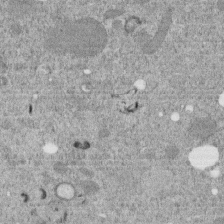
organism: C. elegans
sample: C. elegans embryo early stage